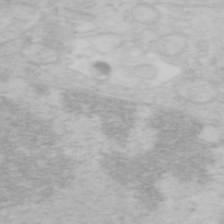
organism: Mouse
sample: OT-I killer T cells with ID8 ovarian cancer cells